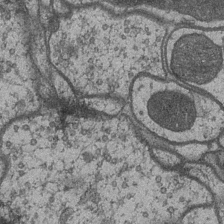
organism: Drosophila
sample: Optic medulla